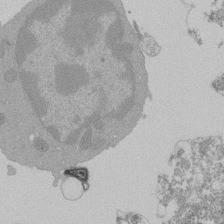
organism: Mouse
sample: Activated Pmel transgenic CD8+ T Cells